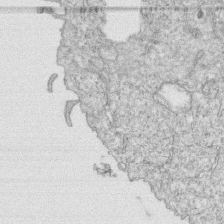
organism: Human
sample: HeLa cell HIV synapse